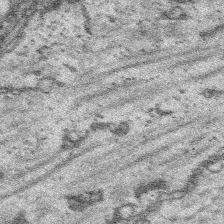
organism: Platynereis dumerilii